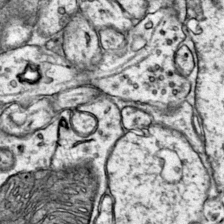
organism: Mouse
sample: Primary visual cortex